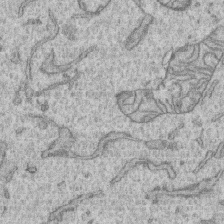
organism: Human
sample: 1205lu cells